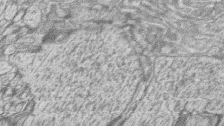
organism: Zebrafish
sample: synaptic ribbons in rod cells and cone cells